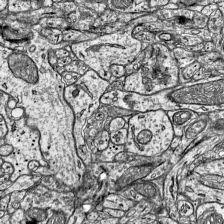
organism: Mouse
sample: Visual Cortex